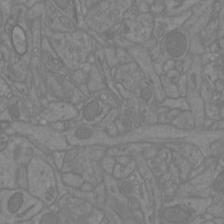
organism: Mouse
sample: Cortical neurons